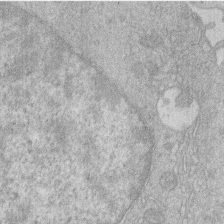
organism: Human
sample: Macrophage cells